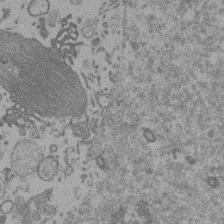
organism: Mouse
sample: Dividing mouse embryo 1 cell stage